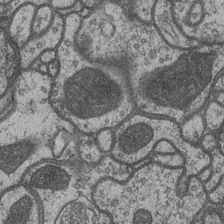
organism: Drosophila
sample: Optic medulla